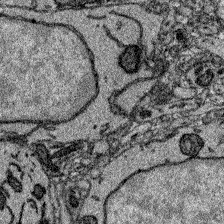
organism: Zebrafish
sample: Larval olfactory bulb